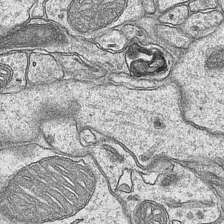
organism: Mouse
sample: CA1 Hippocampus